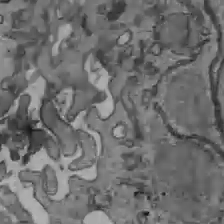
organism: C57BL Mouse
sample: Liver